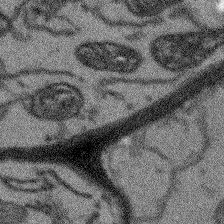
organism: Arabidopsis thaliana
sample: Root tip